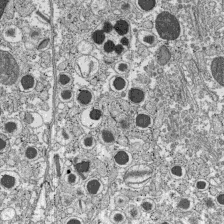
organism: C57BL Mouse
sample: Pancreatic islet